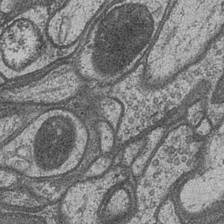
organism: Drosophila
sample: Optic medulla